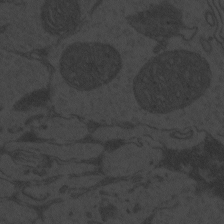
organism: Zebrafish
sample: Macrophage infected with Toxoplasma gondii